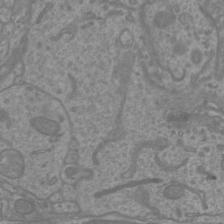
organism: Mouse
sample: Cortical neurons